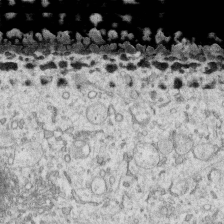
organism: Human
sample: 1205lu cells